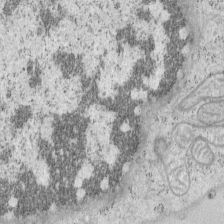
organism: Mouse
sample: OT-I killer T cells with ID8 ovarian cancer cells